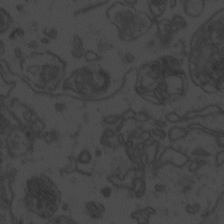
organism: Zebrafish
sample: Macrophage infected with Toxoplasma gondii